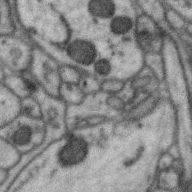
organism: Zebra finch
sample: Brain